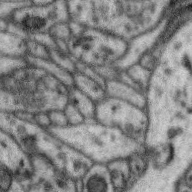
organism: Zebra finch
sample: Brain